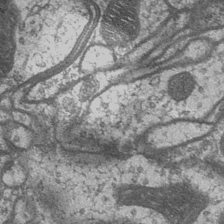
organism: Drosophila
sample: Optic medulla